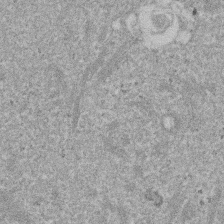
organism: Mouse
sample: Dividing mouse embryo 1 cell stage